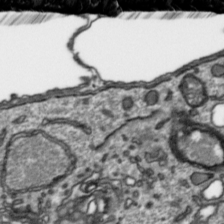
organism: Toxoplasma gondii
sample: Parasites in a vacuole inside a host cell